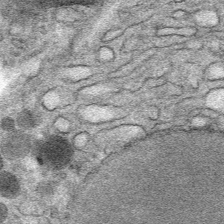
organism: Mouse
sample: Mouse Salivary gland